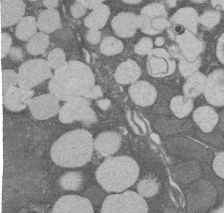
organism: Rat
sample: Salivary granule